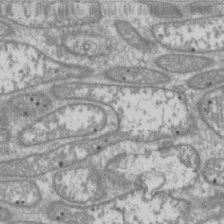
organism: Drosophila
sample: Cell division; meiosis; drosophila spermatocytes